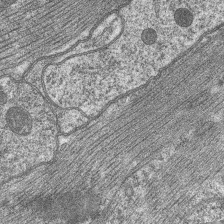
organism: C. elegans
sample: Pharynx